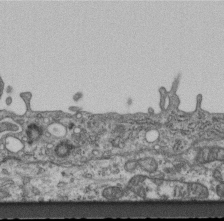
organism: Mouse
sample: Centriole in ependymal cells